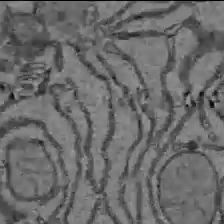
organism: C57BL Mouse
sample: Liver